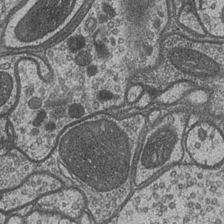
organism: Drosophila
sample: Optic medulla